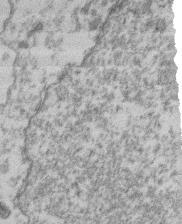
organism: Mouse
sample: T cell stromal cell synapse